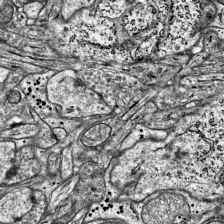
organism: Mouse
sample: Visual Cortex